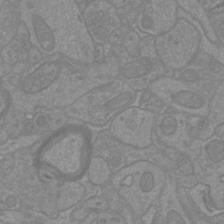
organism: Mouse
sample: Cortical neurons